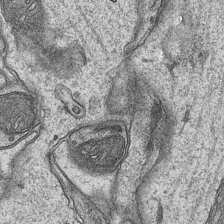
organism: Mouse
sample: CA1 Hippocampus